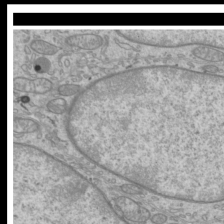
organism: Mouse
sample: Cilia; mouse epididymis